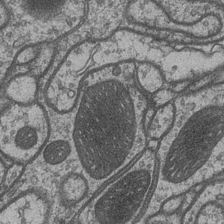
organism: Drosophila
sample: Optic medulla